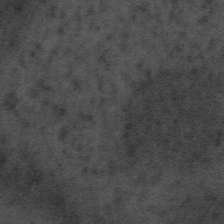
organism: Tuwongella immobilis